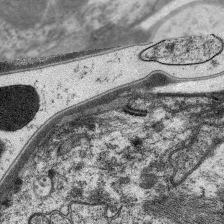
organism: C. elegans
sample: Pharynx